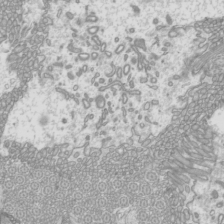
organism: Mouse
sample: Cilia; mouse epididymis